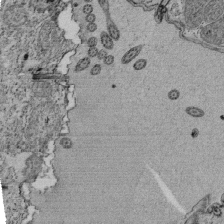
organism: Tetrahymena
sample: Cilia in tetrahymena